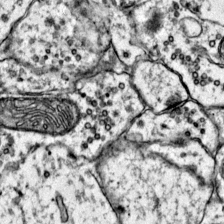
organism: Mouse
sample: Primary visual cortex